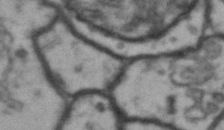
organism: Drosophila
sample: Brain